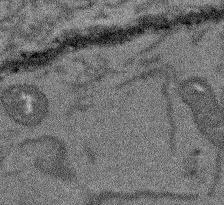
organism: Arabidopsis thaliana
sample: Root tip